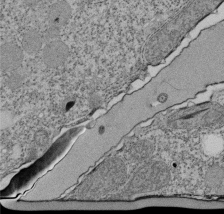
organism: Tetrahymena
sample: Cilia in tetrahymena